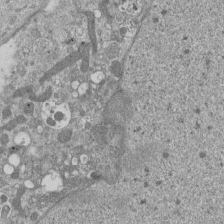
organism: Mouse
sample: ED-1 cell nuclei; centrioles